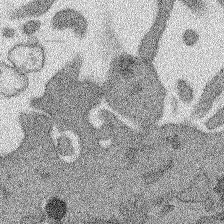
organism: Human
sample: HeLa cells